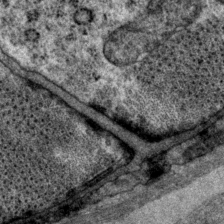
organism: P. pacificus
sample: Pharynx